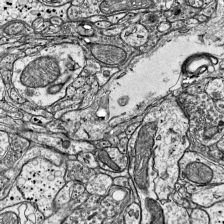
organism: Mouse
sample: Visual Cortex